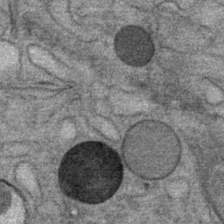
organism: Mouse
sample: Mouse Salivary gland